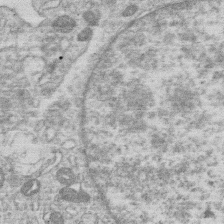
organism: Human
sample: Macrophage cells